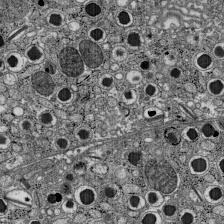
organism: C57BL Mouse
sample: Pancreatic islet